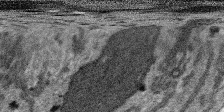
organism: Human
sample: Lung epithelial cells infected with SARS-CoV-2